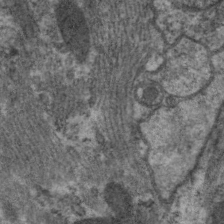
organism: C. elegans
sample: Pharynx